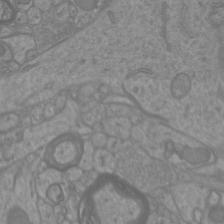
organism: Mouse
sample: Cortical neurons